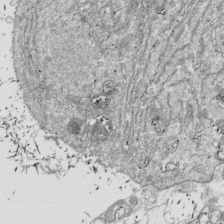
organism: Drosophila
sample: Cell division; meiosis; drosophila spermatocytes